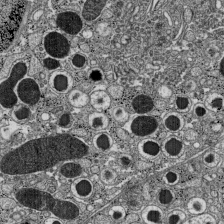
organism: C57BL Mouse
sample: Pancreatic islet